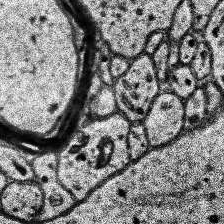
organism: Human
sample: Temporal Lobe